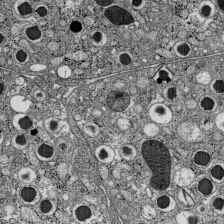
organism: C57BL Mouse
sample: Pancreatic islet